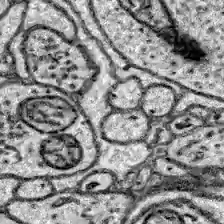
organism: Zebrafish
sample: Brain